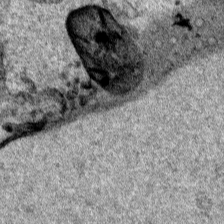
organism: Human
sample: Mitochondria in HCT116 cells